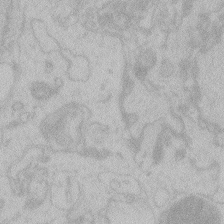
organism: Zebrafish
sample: Macrophage infected with Toxoplasma gondii